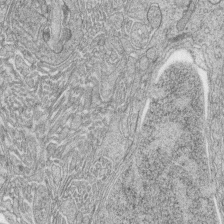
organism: Zebrafish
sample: synaptic ribbons in rod cells and cone cells